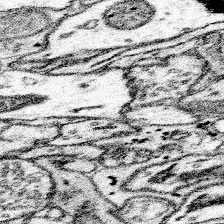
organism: Mouse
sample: Somatosensory cortex neuropil